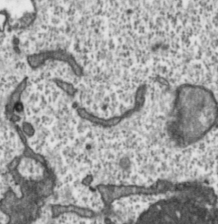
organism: Toxoplasma gondii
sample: Parasites in a vacuole inside a host cell